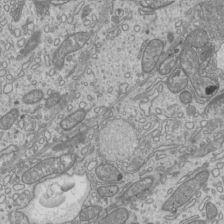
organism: Mouse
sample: Cilia; mouse epididymis